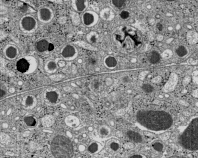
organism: C57BL Mouse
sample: Pancreatic islet